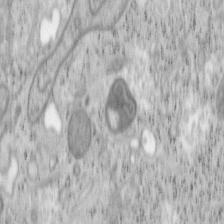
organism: Human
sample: HeLa cells